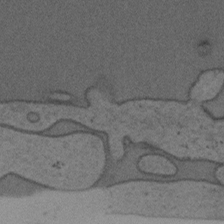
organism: Human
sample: HeLa cells